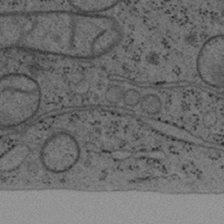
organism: Human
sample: HeLa cells